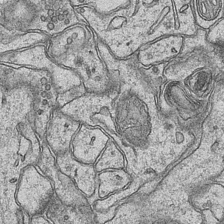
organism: Mouse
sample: CA1 Hippocampus